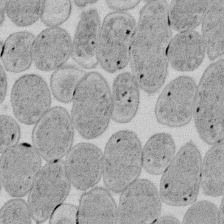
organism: E. coli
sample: Bacterial nucleoid